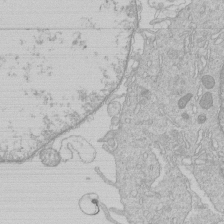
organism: Human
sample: Macrophage cells